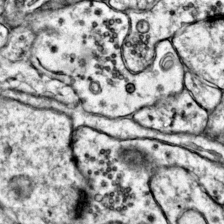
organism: Mouse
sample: Primary visual cortex